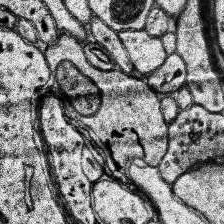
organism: Human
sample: Temporal Lobe